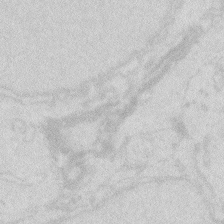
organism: Zebrafish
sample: Macrophage